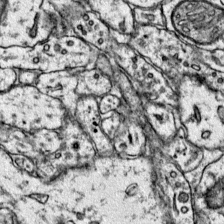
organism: Mouse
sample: Primary visual cortex